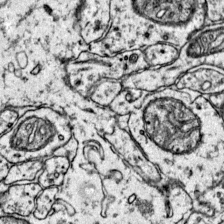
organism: Mouse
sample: Primary visual cortex